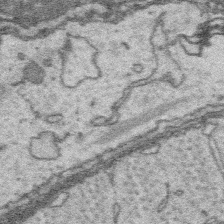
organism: Platynereis dumerilii